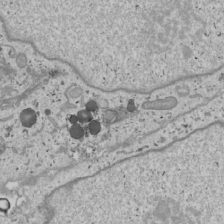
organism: Human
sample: Mitochondria in U2OS cells